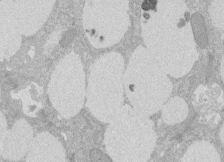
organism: Rat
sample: Salivary granule